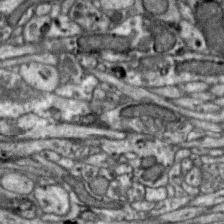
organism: Zebra finch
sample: Brain